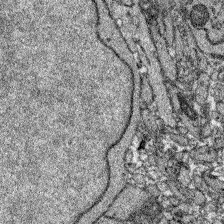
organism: Zebrafish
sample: Larval olfactory bulb